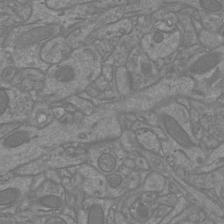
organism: Mouse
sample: Cortical neurons